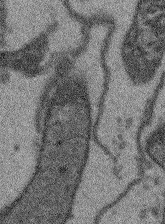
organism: Arabidopsis thaliana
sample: Root tip